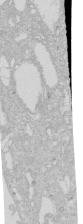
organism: Human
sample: Caco-2 cells